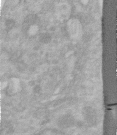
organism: Human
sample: Centriole in RPE cells